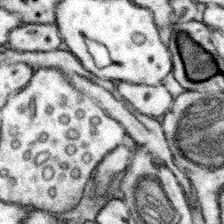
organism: Mouse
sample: Somatosensory cortex neuropil